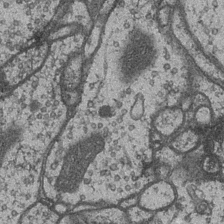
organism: Drosophila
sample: Optic medulla